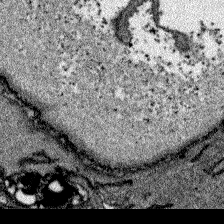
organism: Zebrafish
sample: Larval olfactory bulb